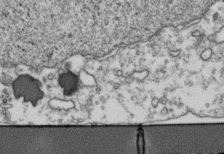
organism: Human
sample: Activated Jurkat CD4+ T cells